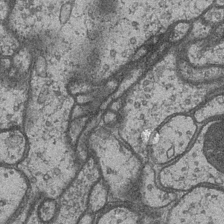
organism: Drosophila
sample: Optic medulla